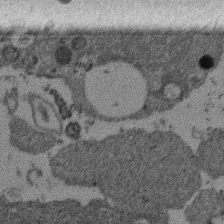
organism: Mouse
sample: Dividing mouse embryo 1 cell stage